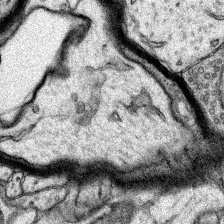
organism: Rat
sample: Hippocampus